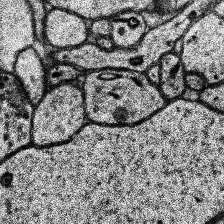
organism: Human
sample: Temporal Lobe